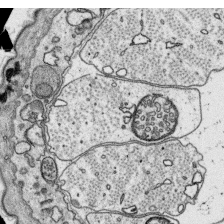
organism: Platynereis dumerilii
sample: Parapodia